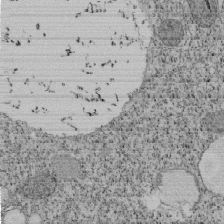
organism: Tetrahymena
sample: Cilia in tetrahymena